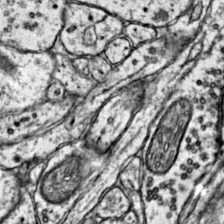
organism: Mouse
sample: Primary visual cortex